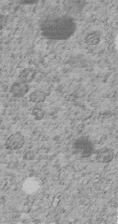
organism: C. elegans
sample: C. elegans embryo early stage